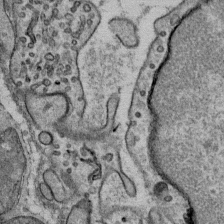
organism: Mouse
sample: Mouse Salivary gland